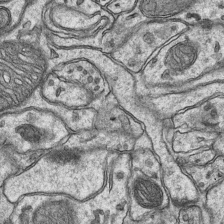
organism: Mouse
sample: CA1 Hippocampus